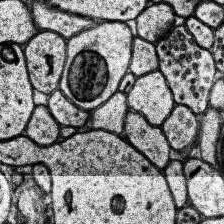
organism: Human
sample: Temporal Lobe